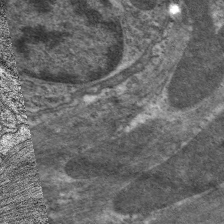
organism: C. elegans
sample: Pharynx